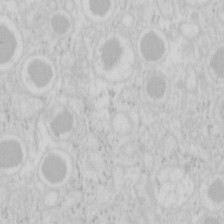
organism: Mouse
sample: Pancreas